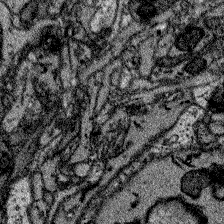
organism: Zebrafish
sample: Larval olfactory bulb